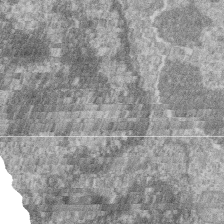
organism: Zebrafish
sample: Cilia; retinal pigment epithelium